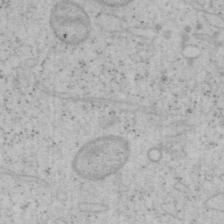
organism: Human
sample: HeLa cells